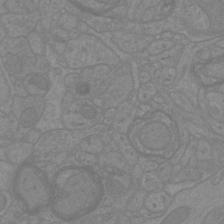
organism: Mouse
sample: Cortical neurons